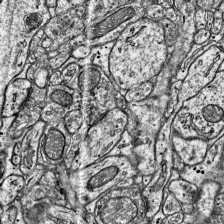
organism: Mouse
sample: Visual Cortex